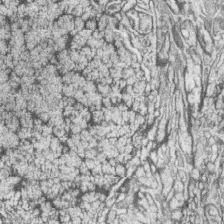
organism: Zebrafish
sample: synaptic ribbons in rod cells and cone cells